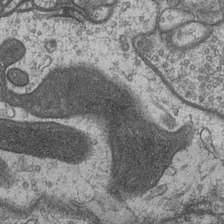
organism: Drosophila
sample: Optic medulla